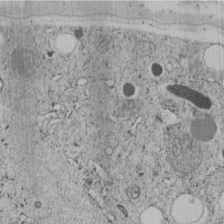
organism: C. elegans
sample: C. elegans embryo early stage